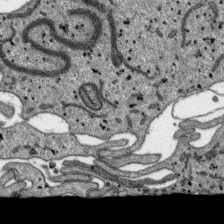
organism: Human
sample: Lung epithelial cells, uninfected (mock) control